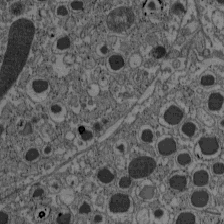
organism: C57BL Mouse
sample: Pancreatic islet